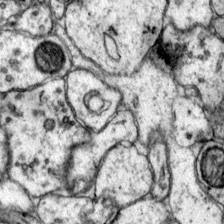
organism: Mouse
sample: Primary visual cortex